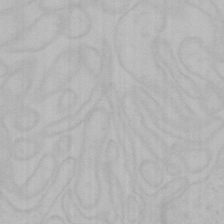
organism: Mouse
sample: Choroid plexus